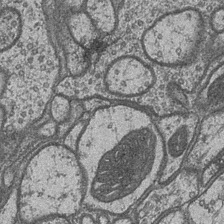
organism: Drosophila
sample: Optic medulla